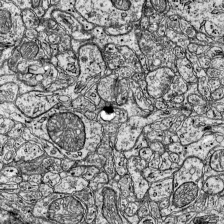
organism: Mouse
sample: Visual Cortex